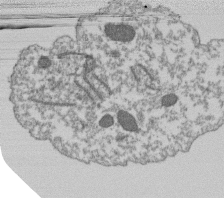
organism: Dictyostelium discoideum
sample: Dictyostelium multivesicular bodies